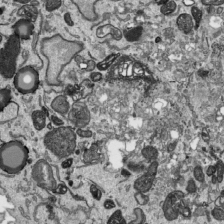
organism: Human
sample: Mitochondria in HCT116 cells